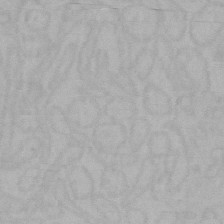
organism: Mouse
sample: Choroid plexus